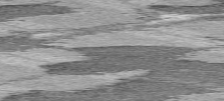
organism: C57BL Mouse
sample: Heart